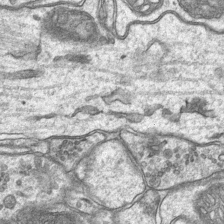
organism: Mouse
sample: CA1 Hippocampus